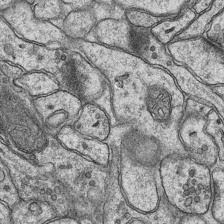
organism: Mouse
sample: CA1 Hippocampus